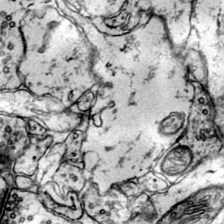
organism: Mouse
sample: Primary visual cortex